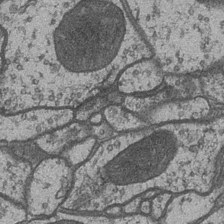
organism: Drosophila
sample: Optic medulla